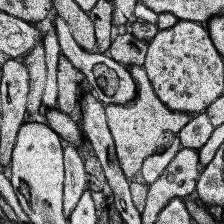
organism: Human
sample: Temporal Lobe